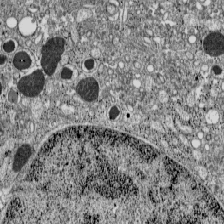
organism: C57BL Mouse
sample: Pancreatic islet